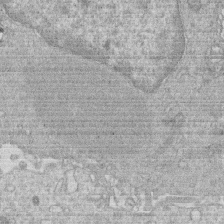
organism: Human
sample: Macrophage cells